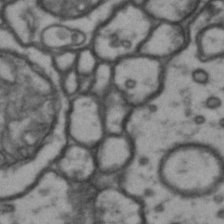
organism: Drosophila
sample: Brain